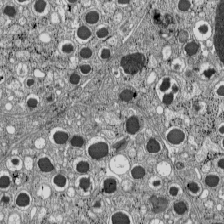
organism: C57BL Mouse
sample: Pancreatic islet